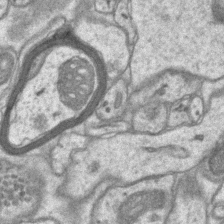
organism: Mouse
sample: CA1 Hippocampus